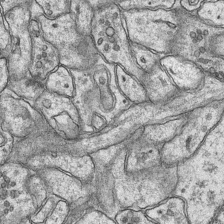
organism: Mouse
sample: CA1 Hippocampus